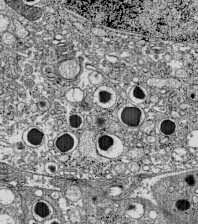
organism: C57BL Mouse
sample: Pancreatic islet